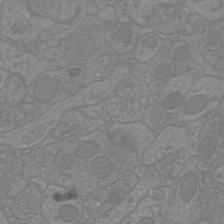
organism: Mouse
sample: Cortical neurons